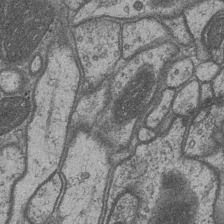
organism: Drosophila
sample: Optic medulla